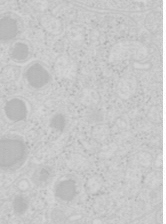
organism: Mouse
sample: Pancreas